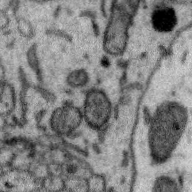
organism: Zebra finch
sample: Brain